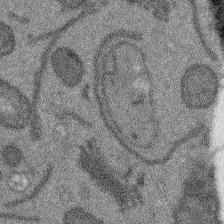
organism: Arabidopsis thaliana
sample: Root tip